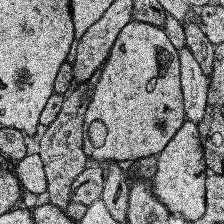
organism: Human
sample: Temporal Lobe